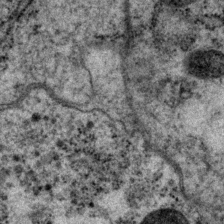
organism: P. pacificus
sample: Pharynx